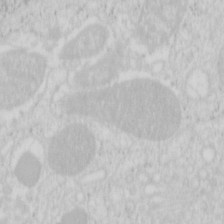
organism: Mouse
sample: Pancreas